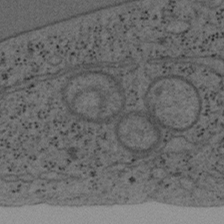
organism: Human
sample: HeLa cells